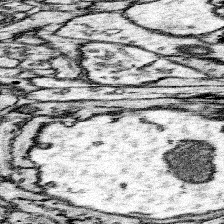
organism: Mouse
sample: Somatosensory cortex neuropil